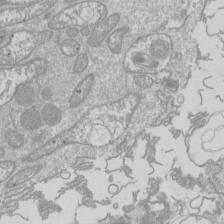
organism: Drosophila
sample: Cell division; meiosis; drosophila spermatocytes